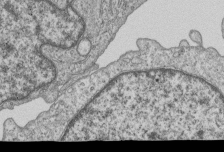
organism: Human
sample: MDA-MB-231 cells